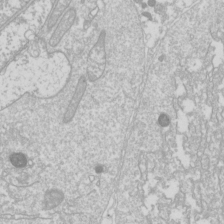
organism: Drosophila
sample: Cell division; meiosis; drosophila spermatocytes